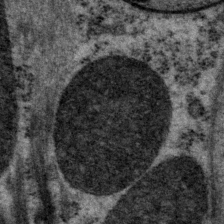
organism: P. pacificus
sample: Pharynx